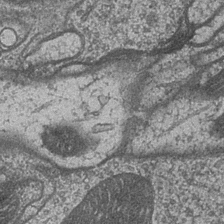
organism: Drosophila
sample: Optic medulla